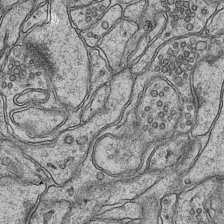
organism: Mouse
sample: CA1 Hippocampus